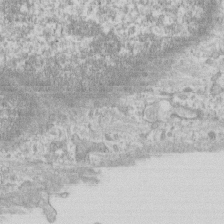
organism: Human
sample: CRL-1474